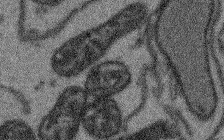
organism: Arabidopsis thaliana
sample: Root tip